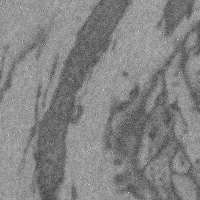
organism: Mouse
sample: Cerebral cortex